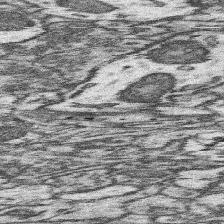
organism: Mouse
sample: Somatosensory cortex neuropil